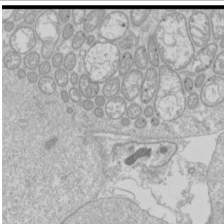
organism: Drosophila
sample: Cell division; meiosis; drosophila spermatocytes